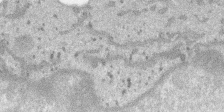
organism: Human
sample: Lung epithelial cells infected with SARS-CoV-2